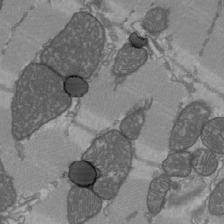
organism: C57BL Mouse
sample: Heart